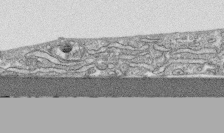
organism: Human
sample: CRL-1474